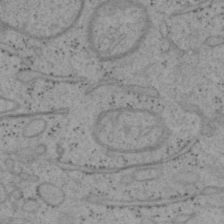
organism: Human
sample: HeLa cells